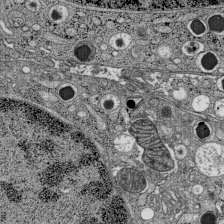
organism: C57BL Mouse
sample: Pancreatic islet